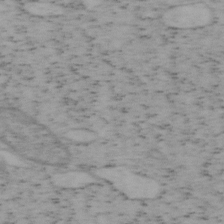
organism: Mouse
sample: OT-I killer T cells with ID8 ovarian cancer cells